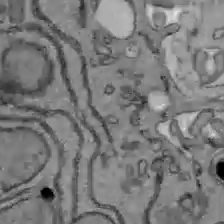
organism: C57BL Mouse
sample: Liver